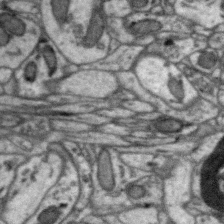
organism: Zebra finch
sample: Brain